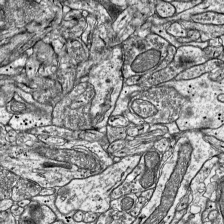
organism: Mouse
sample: Visual Cortex